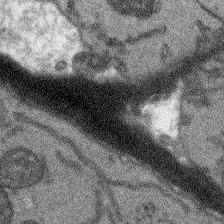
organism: Arabidopsis thaliana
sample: Root tip